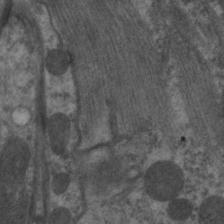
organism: C. elegans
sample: Pharynx